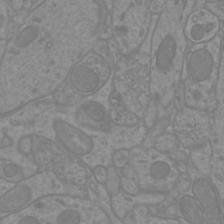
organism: Mouse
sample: Cortical neurons